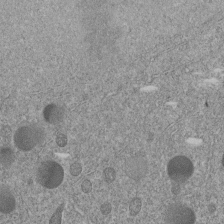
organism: C. elegans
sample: C. elegans embryo early stage